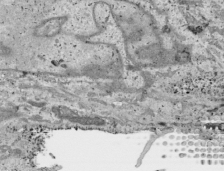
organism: Human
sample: Mitochondria in HCT116 cells